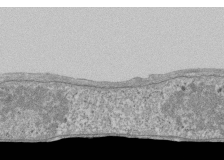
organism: Human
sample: Fibroblast cells